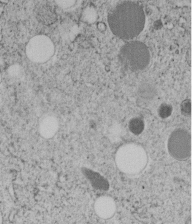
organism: C. elegans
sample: C. elegans embryo early stage